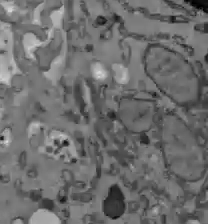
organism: C57BL Mouse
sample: Liver